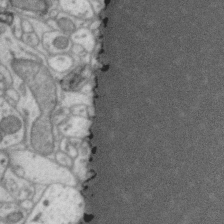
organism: Zebra finch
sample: Brain